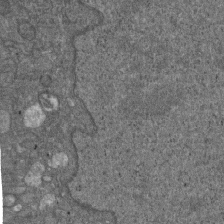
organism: Drosophila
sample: Nephrocyte